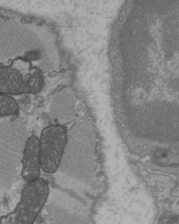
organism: C57BL Mouse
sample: Heart